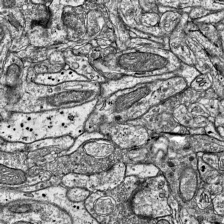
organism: Mouse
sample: Visual Cortex